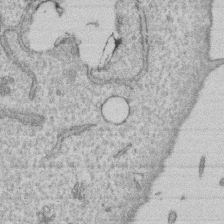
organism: Human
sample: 1205lu cells